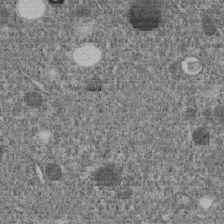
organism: C. elegans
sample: C. elegans embryo early stage